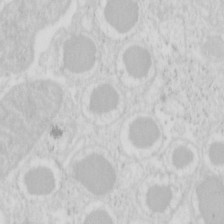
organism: Mouse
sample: Pancreas